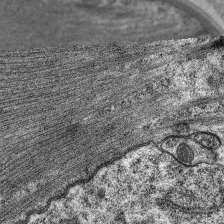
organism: C. elegans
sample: Pharynx